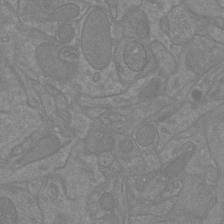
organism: Mouse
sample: Cortical neurons